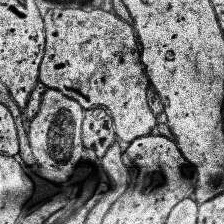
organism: Human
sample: Temporal Lobe